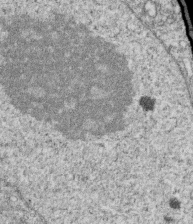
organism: Human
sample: HeLa cell HIV synapse